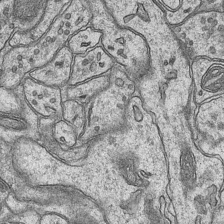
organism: Mouse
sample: CA1 Hippocampus